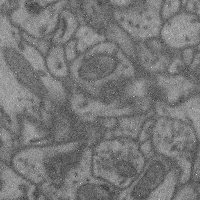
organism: Mouse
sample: Cerebral cortex